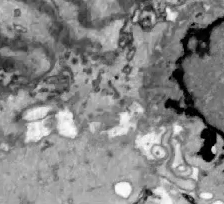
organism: Zebrafish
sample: Actinotrichia fibers